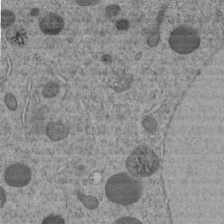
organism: C. elegans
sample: C. elegans embryo early stage